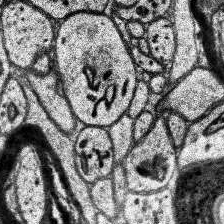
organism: Human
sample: Temporal Lobe